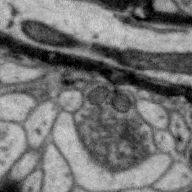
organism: Zebra finch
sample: Brain